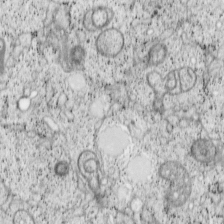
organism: African green monkey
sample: COS-7 cells